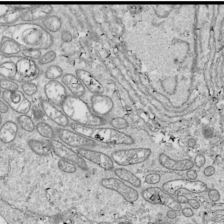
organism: Drosophila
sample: Cell division; meiosis; drosophila spermatocytes